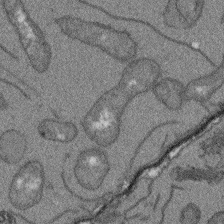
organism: Arabidopsis thaliana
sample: Root tip